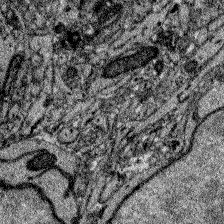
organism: Zebrafish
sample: Larval olfactory bulb